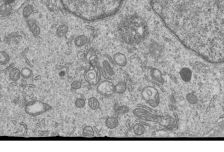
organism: Human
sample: MDA-MB-231 cells